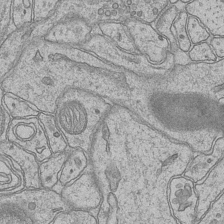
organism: Mouse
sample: CA1 Hippocampus